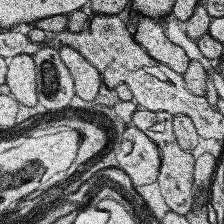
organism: Human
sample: Temporal Lobe